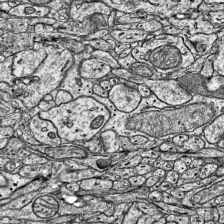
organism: Mouse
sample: Visual Cortex